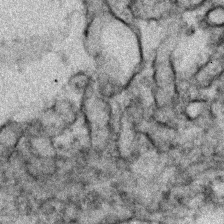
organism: Zebrafish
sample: Zebrafish embryo